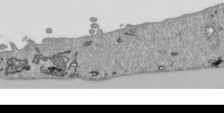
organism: Human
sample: Mitochondria in HCT116 cells